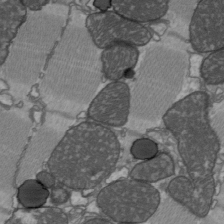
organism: C57BL Mouse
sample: Heart